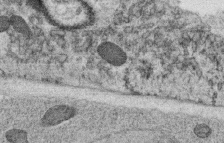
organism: C. elegans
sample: C. elegans oocyte; sperm cells